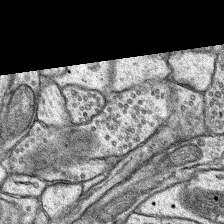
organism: Rat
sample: Hippocampus